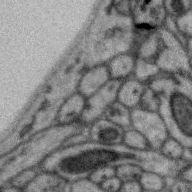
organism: Zebra finch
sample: Brain